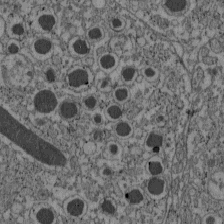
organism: C57BL Mouse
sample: Pancreatic islet